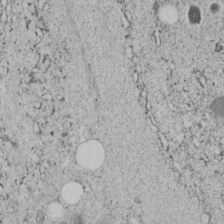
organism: C. elegans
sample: C. elegans embryo early stage